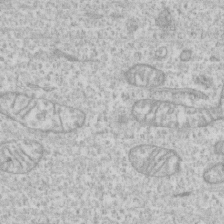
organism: Human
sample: CRL-1474